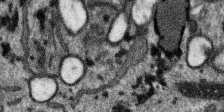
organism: Human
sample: Lung epithelial cells infected with SARS-CoV-2